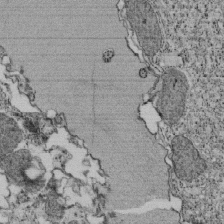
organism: Tetrahymena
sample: Cilia in tetrahymena